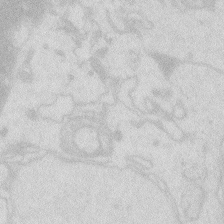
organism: Zebrafish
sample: Macrophage